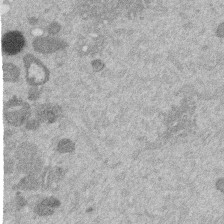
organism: Mouse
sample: Dividing mouse embryo 1 cell stage